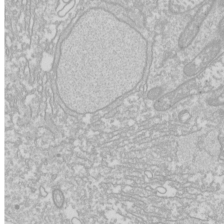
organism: Drosophila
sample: Cell division; meiosis; drosophila spermatocytes